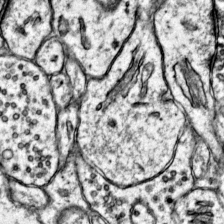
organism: Mouse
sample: Primary visual cortex